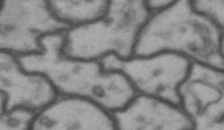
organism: Drosophila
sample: Brain